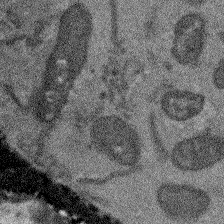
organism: Arabidopsis thaliana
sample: Root tip